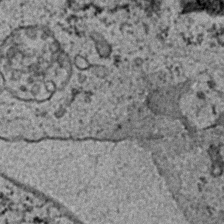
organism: C. elegans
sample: C. elegans embryo